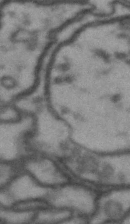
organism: Drosophila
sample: Brain